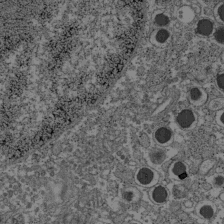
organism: C57BL Mouse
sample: Pancreatic islet